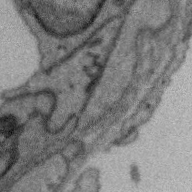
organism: Zebra finch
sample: Brain